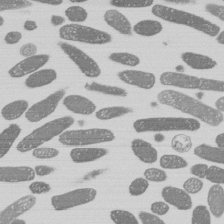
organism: E. coli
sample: Bacterial nucleoid